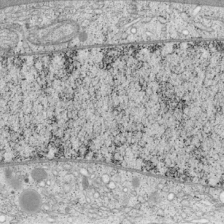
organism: African green monkey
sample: COS-7 cells